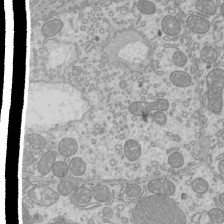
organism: Mouse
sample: Cilia; mouse epididymis